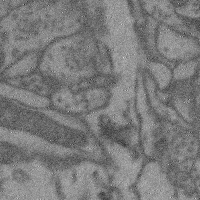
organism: Mouse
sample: Cerebral cortex